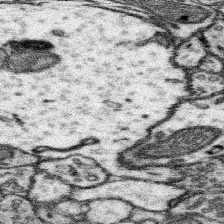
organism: Mouse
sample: Somatosensory cortex neuropil